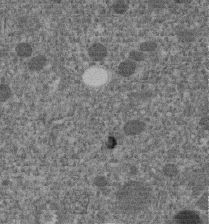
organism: C. elegans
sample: C. elegans embryo early stage